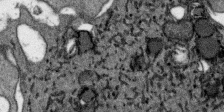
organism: Human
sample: Lung epithelial cells, uninfected (mock) control